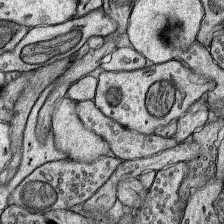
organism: Rat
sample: Hippocampus